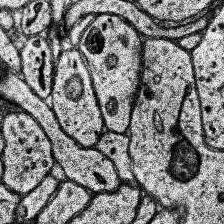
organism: Human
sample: Temporal Lobe